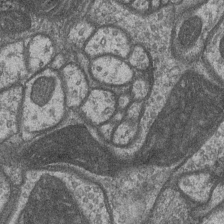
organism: Drosophila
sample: Optic medulla